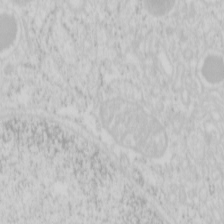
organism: Mouse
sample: Pancreas